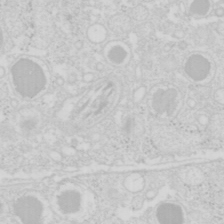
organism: Mouse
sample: Pancreas